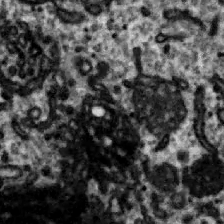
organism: Human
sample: HeLa cells